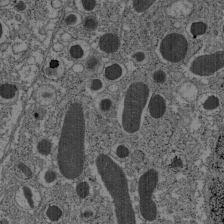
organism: C57BL Mouse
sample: Pancreatic islet